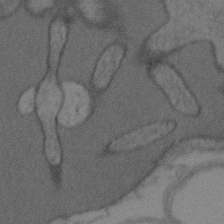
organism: Human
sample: HeLa cells